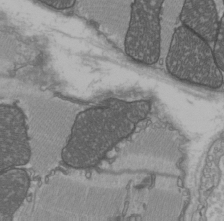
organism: C57BL Mouse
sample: Heart